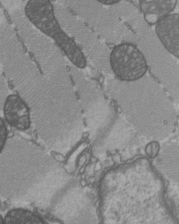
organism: C57BL Mouse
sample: Heart